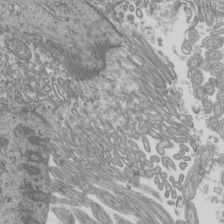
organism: Mouse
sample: Cilia; mouse epididymis